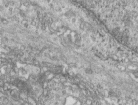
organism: Human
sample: Centriole in RPE cells